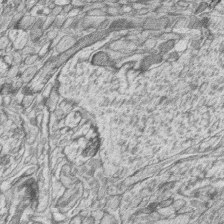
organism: Zebrafish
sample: synaptic ribbons in rod cells and cone cells